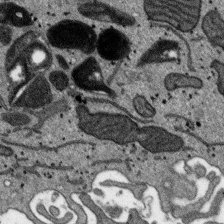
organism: Human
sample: Lung epithelial cells, uninfected (mock) control